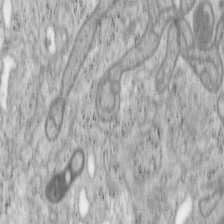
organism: Human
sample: HeLa cells